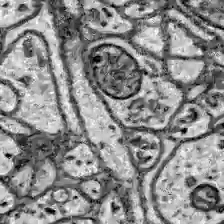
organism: Zebrafish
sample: Brain